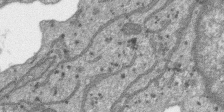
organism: Human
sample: Lung epithelial cells infected with SARS-CoV-2